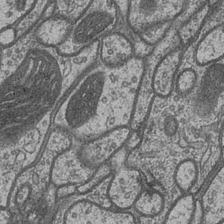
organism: Drosophila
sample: Optic medulla